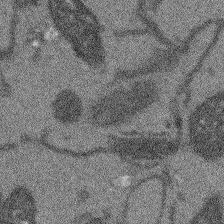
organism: Arabidopsis thaliana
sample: Root tip